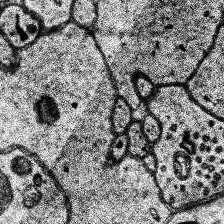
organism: Human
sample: Temporal Lobe